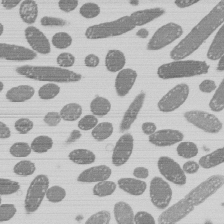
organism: E. coli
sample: Bacterial nucleoid